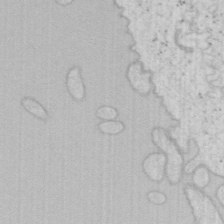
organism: Human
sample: HeLa cells